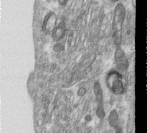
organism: Human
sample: Centriole in RPE cells